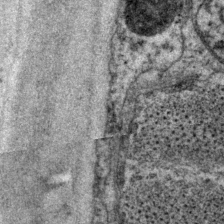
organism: P. pacificus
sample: Pharynx